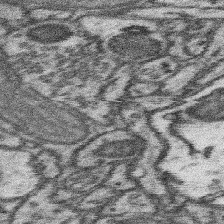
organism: Mouse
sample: Somatosensory cortex neuropil